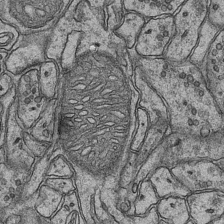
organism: Mouse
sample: CA1 Hippocampus